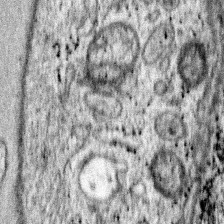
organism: Human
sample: HeLa cells